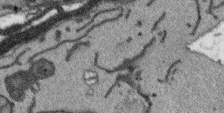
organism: Arabidopsis thaliana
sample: Root tip